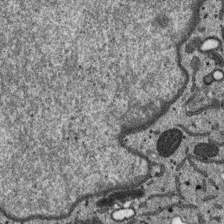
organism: Human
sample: Lung epithelial cells infected with SARS-CoV-2